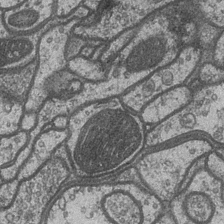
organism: Drosophila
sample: Optic medulla